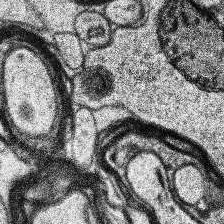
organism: Human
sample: Temporal Lobe